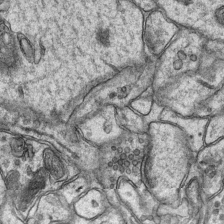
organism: Mouse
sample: CA1 Hippocampus